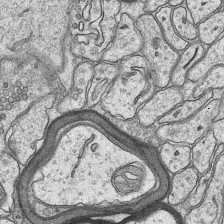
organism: Mouse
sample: CA1 Hippocampus